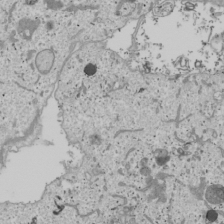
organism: Human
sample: Mitochondria in U2OS cells